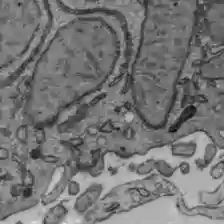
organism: C57BL Mouse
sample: Liver